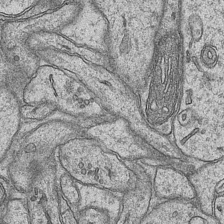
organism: Mouse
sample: CA1 Hippocampus